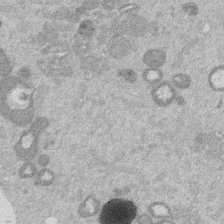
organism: Mouse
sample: Dividing mouse embryo 1 cell stage